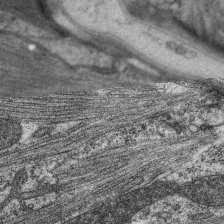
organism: C. elegans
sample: Pharynx